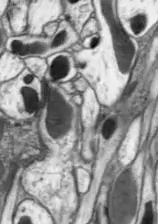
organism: Drosophila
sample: Optic lobe